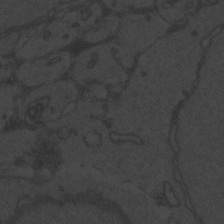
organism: Zebrafish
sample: Macrophage infected with Toxoplasma gondii